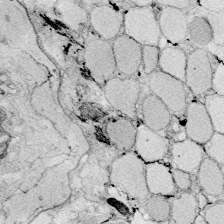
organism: Zebrafish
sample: Whole-Brain